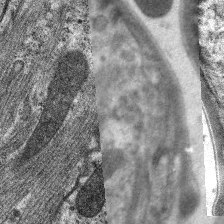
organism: C. elegans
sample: Pharynx